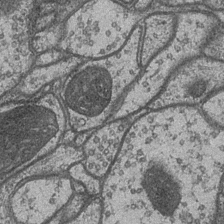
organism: Drosophila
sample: Optic medulla